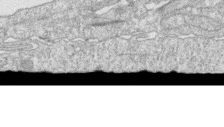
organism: Human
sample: HeLa cell HIV synapse